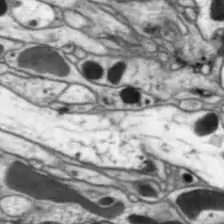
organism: Drosophila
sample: Optic lobe